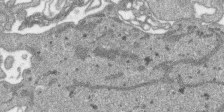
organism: Human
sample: Lung epithelial cells infected with SARS-CoV-2